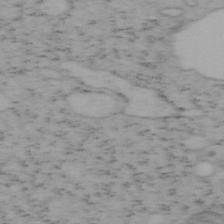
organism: Mouse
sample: OT-I killer T cells with ID8 ovarian cancer cells